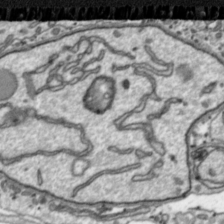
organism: Toxoplasma gondii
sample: Parasites in a vacuole inside a host cell